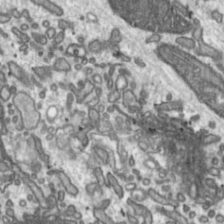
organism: Toxoplasma gondii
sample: Parasites in a vacuole inside a host cell